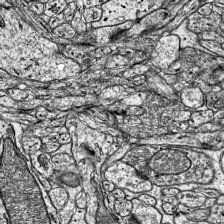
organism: Mouse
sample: Visual Cortex